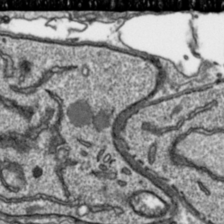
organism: Toxoplasma gondii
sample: Parasites in a vacuole inside a host cell